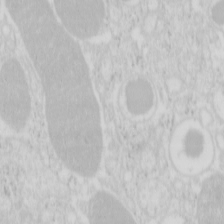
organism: Mouse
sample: Pancreas